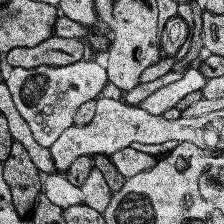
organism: Human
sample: Temporal Lobe